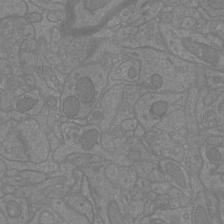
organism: Mouse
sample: Cortical neurons